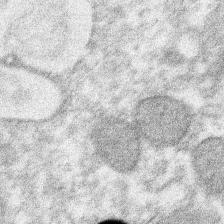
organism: Xenopus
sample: Cilia; centrioles in frog embryo cells